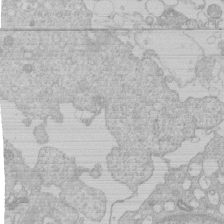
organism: Human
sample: Macrophage cells